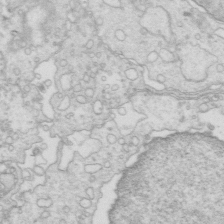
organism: Mouse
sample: Multiciliated cells